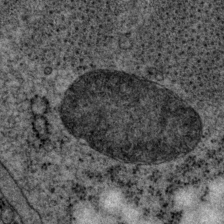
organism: P. pacificus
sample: Pharynx